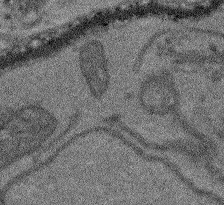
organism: Arabidopsis thaliana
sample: Root tip